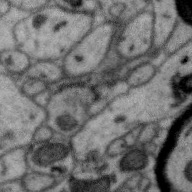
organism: Zebra finch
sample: Brain